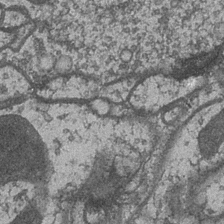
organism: Drosophila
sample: Optic medulla